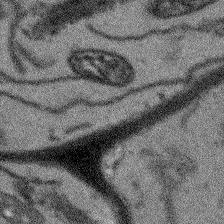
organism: Arabidopsis thaliana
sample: Root tip